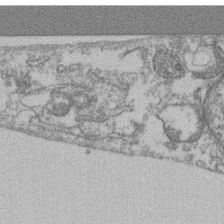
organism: Mouse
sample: T cell stromal cell synapse